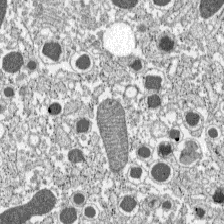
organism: C57BL Mouse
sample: Pancreatic islet